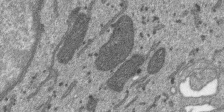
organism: Human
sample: Lung epithelial cells infected with SARS-CoV-2